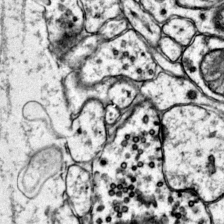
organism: Mouse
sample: Primary visual cortex